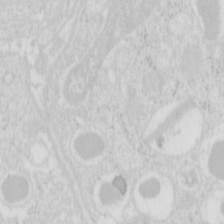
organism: Mouse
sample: Pancreas